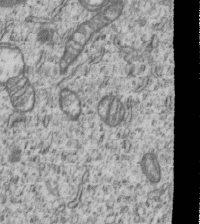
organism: Human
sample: MDA-MB-231 cells